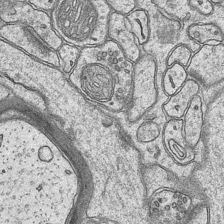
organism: Mouse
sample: CA1 Hippocampus